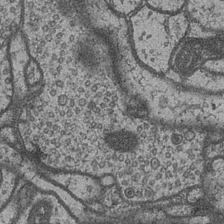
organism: Drosophila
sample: Optic medulla